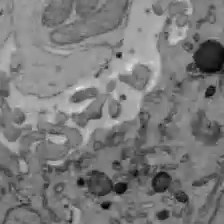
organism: C57BL Mouse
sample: Liver